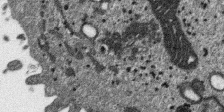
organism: Human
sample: Lung epithelial cells infected with SARS-CoV-2